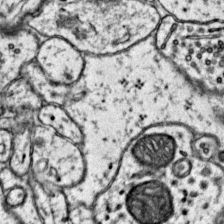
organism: Mouse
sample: Primary visual cortex